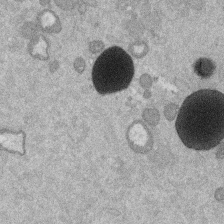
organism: Mouse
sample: Dividing mouse embryo 1 cell stage